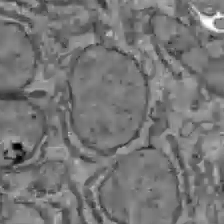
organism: C57BL Mouse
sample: Liver